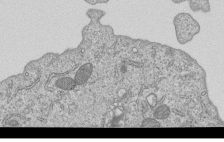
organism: Human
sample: MDA-MB-231 cells